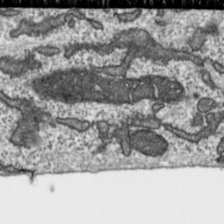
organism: Toxoplasma gondii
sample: Parasites in a vacuole inside a host cell